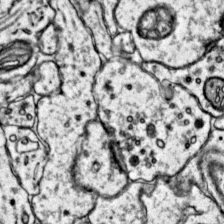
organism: Mouse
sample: Primary visual cortex